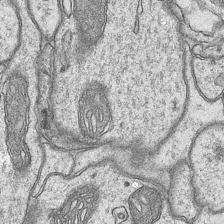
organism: Mouse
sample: CA1 Hippocampus